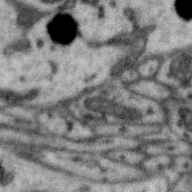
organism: Zebra finch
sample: Brain